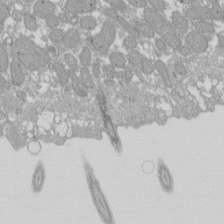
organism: Xenopus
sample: Cilia; centrioles in frog embryo cells